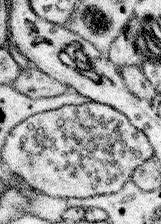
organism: Mouse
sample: Somatosensory cortex neuropil